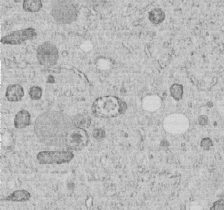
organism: C. elegans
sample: C. elegans embryo early stage